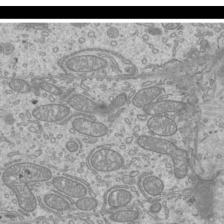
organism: Mouse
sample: Cilia; mouse epididymis